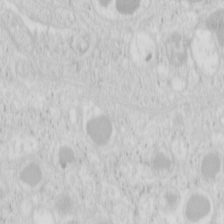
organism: Mouse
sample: Pancreas